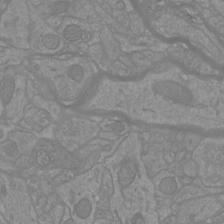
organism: Mouse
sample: Cortical neurons